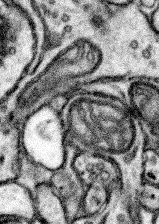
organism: Mouse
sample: Somatosensory cortex neuropil